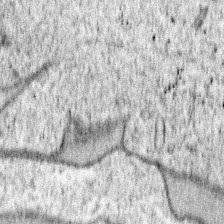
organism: Human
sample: HeLa cells